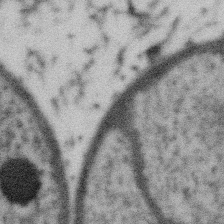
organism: Gemmata obscuriglobus